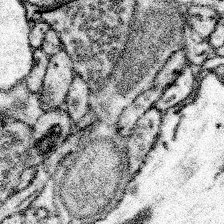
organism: Mouse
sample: Somatosensory cortex neuropil